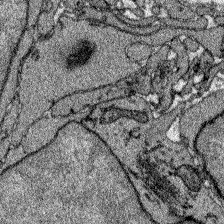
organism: Zebrafish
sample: Larval olfactory bulb